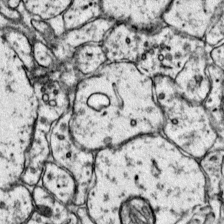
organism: Mouse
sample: Primary visual cortex